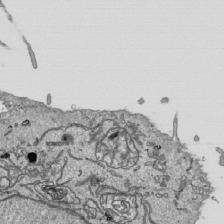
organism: Human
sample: Mitochondria in HCT116 cells